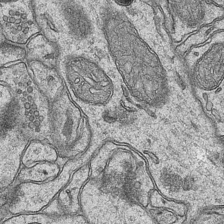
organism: Mouse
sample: CA1 Hippocampus